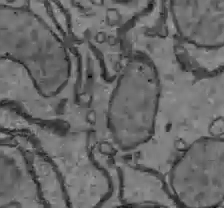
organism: C57BL Mouse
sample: Liver